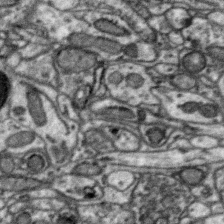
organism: Zebra finch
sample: Brain